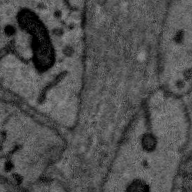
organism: Zebra finch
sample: Brain